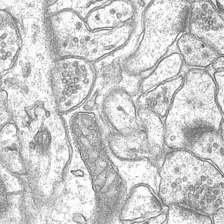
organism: Mouse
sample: CA1 Hippocampus